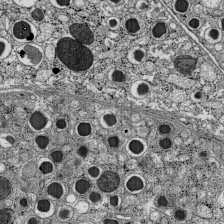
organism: C57BL Mouse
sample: Pancreatic islet